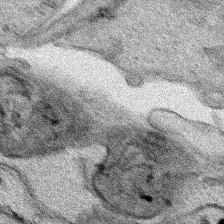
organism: Human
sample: Mitochondria in HCT116 cells